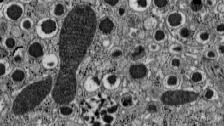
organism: C57BL Mouse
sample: Pancreatic islet